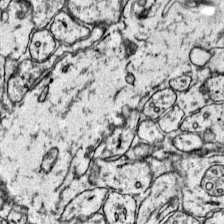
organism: Mouse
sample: Primary visual cortex